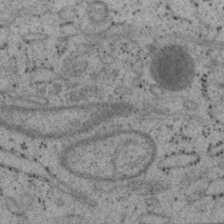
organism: Human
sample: HeLa cells